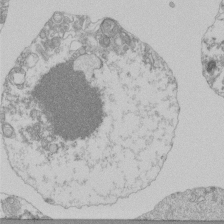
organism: Mouse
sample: Activated Pmel transgenic CD8+ T Cells